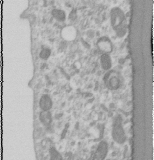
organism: Human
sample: Cilia; basal body in RPE cells